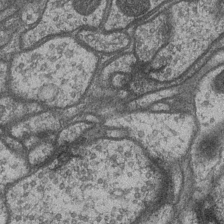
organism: Drosophila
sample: Optic medulla